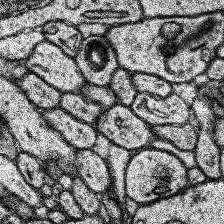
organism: Human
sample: Temporal Lobe